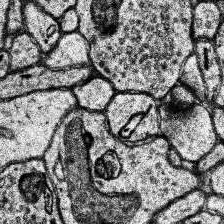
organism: Human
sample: Temporal Lobe